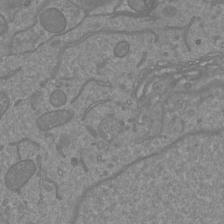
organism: Mouse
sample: Cortical neurons